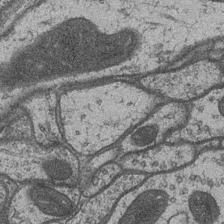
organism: Drosophila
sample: Optic medulla